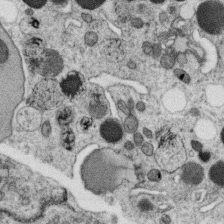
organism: C. elegans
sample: C. elegans oocyte; sperm cells